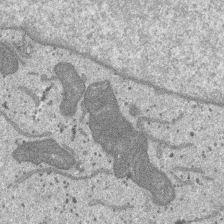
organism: Human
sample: Lung epithelial cells infected with SARS-CoV-2